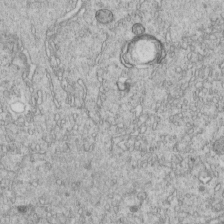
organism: C. elegans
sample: C. elegans embryo early stage